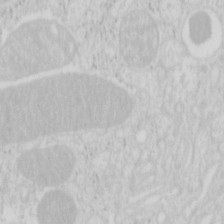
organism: Mouse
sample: Pancreas